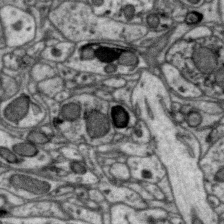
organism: Zebra finch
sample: Brain